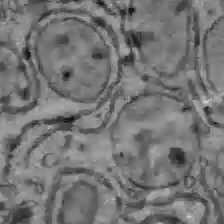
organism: C57BL Mouse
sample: Liver